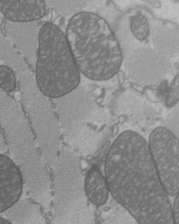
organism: C57BL Mouse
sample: Heart